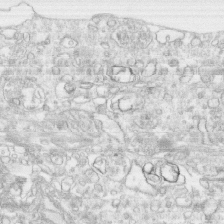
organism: Human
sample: CRL-1474